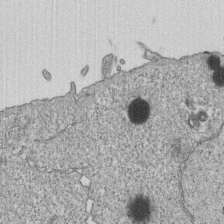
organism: Human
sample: HeLa cell HIV synapse